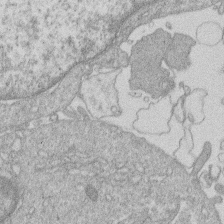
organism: Human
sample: Macrophage cells